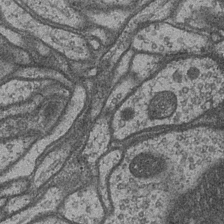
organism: Drosophila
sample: Optic medulla